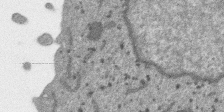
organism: Human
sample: Lung epithelial cells infected with SARS-CoV-2